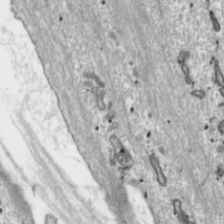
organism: Toxoplasma gondii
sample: Parasites in a vacuole inside a host cell